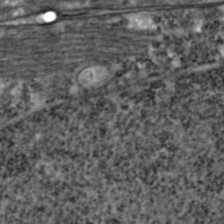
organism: Zebrafish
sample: Zebrafish embryo